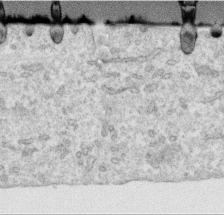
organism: Human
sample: Centriole in RPE cells